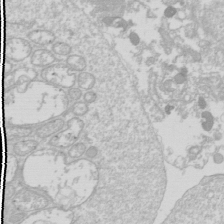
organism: Drosophila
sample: Cell division; meiosis; drosophila spermatocytes